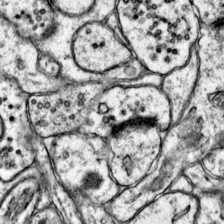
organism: Mouse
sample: Primary visual cortex